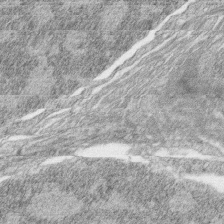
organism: Zebrafish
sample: synaptic ribbons in rod cells and cone cells